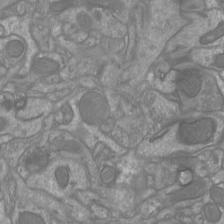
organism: Mouse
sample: Cortical neurons